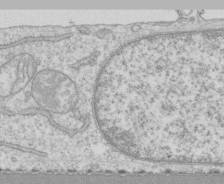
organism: Human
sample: CRL-1474